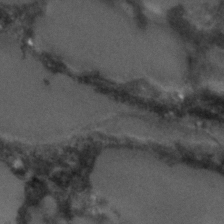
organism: C. elegans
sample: C. elegans embryo